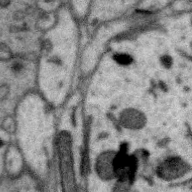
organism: Zebra finch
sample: Brain